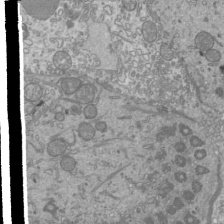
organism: Mouse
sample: Cilia; mouse epididymis